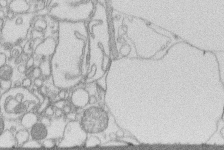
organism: Human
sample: Macrophage cells